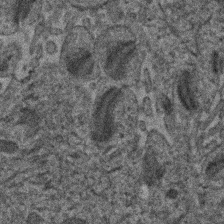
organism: Human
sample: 1205lu cells